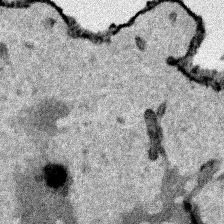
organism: Human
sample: Mitochondria in HCT116 cells